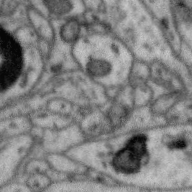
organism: Zebra finch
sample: Brain